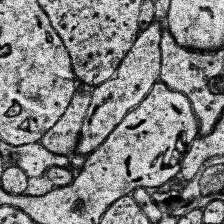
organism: Human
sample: Temporal Lobe